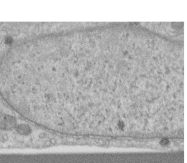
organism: Human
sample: Centriole in RPE cells